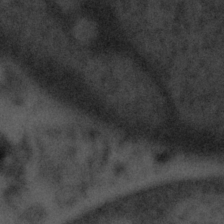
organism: Tuwongella immobilis